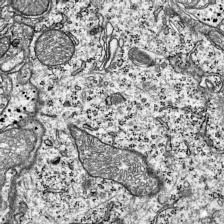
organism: Mouse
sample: Visual Cortex